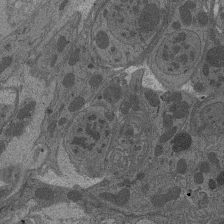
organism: Drosophila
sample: Antenna